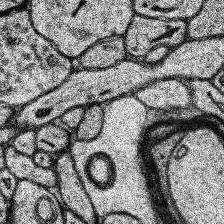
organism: Human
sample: Temporal Lobe